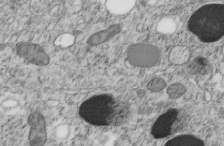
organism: C. elegans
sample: C. elegans embryo early stage